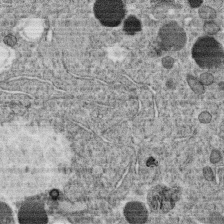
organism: C. elegans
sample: C. elegans oocyte; sperm cells